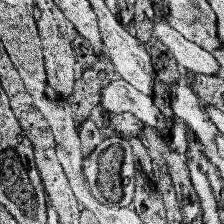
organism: Human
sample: Temporal Lobe